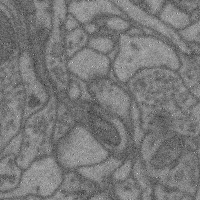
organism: Mouse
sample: Cerebral cortex